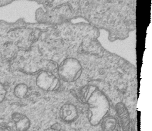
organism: Human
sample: MDA-MB-231 cells